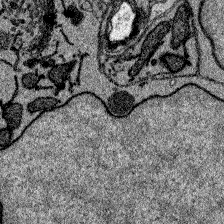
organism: Zebrafish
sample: Larval olfactory bulb